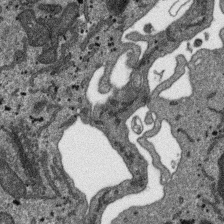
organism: Human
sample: Lung epithelial cells infected with SARS-CoV-2